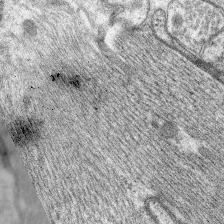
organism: C. elegans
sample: Pharynx